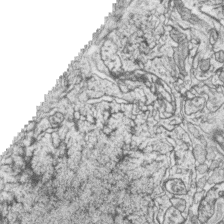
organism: Zebrafish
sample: synaptic ribbons in rod cells and cone cells